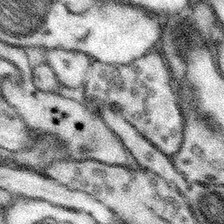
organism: Mouse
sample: Somatosensory cortex neuropil